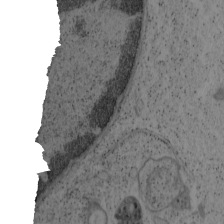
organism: Mouse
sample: OT-I killer T cells with ID8 ovarian cancer cells